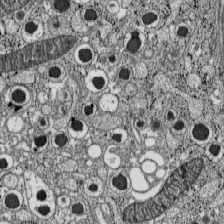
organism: C57BL Mouse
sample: Pancreatic islet